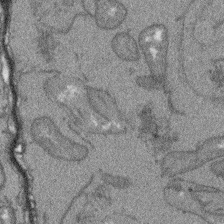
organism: Arabidopsis thaliana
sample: Root tip